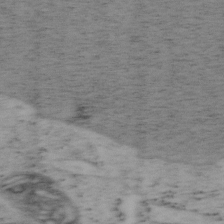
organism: Mouse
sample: OT-I killer T cells with ID8 ovarian cancer cells